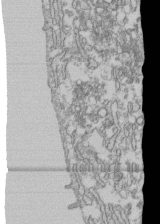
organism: Human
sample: Fibroblast cells